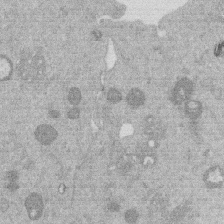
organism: Mouse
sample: Dividing mouse embryo 1 cell stage